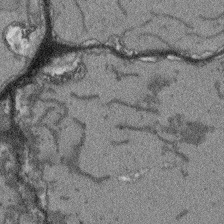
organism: Arabidopsis thaliana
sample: Root tip